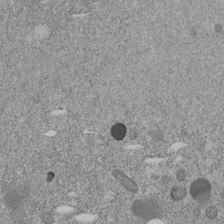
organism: C. elegans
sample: C. elegans embryo early stage